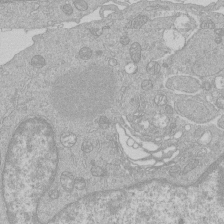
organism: Human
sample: Macrophage cells